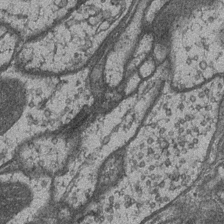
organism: Drosophila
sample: Optic medulla